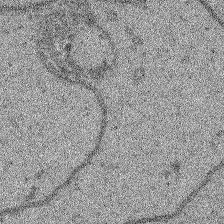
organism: Human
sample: HeLa cells